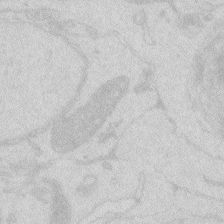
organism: Zebrafish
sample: Macrophage